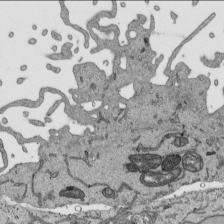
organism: Human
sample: Mitochondria in HCT116 cells